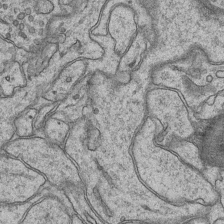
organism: Mouse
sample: CA1 Hippocampus